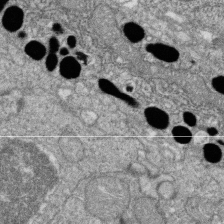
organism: Zebrafish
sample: Cilia; retinal pigment epithelium